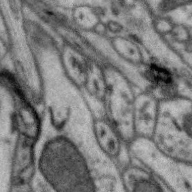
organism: Zebra finch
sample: Brain